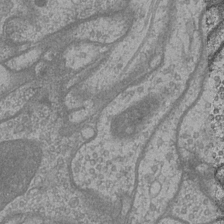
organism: Drosophila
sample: Optic medulla